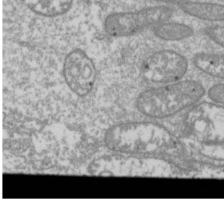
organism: Drosophila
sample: Cell division; meiosis; drosophila spermatocytes